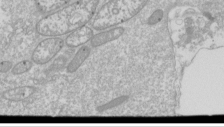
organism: Drosophila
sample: Cell division; meiosis; drosophila spermatocytes